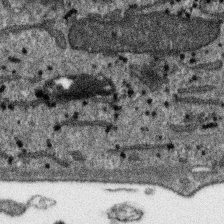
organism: Human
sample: Lung epithelial cells infected with SARS-CoV-2